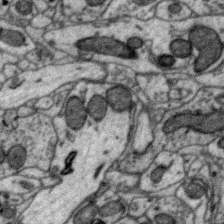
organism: Zebra finch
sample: Brain